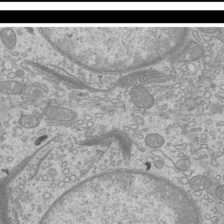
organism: Mouse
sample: Cilia; mouse epididymis